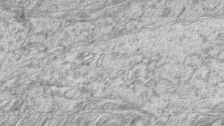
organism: Zebrafish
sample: synaptic ribbons in rod cells and cone cells